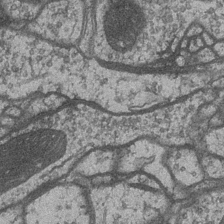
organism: Drosophila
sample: Optic medulla